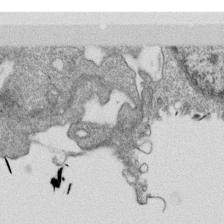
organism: African green monkey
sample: Vero E6 cells infected with SARS-CoV-2